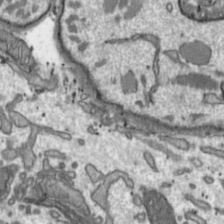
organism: Toxoplasma gondii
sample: Parasites in a vacuole inside a host cell